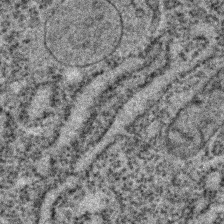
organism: C. elegans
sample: C. elegans embryo